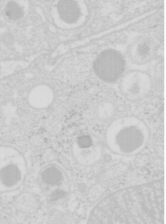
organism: Mouse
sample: Pancreas